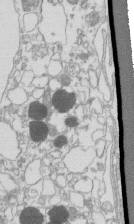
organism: Mouse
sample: Macrophages